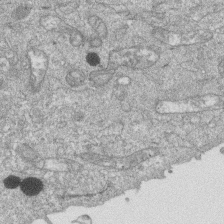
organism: Human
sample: HeLa cell HIV synapse